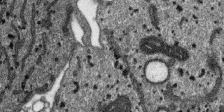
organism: Human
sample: Lung epithelial cells infected with SARS-CoV-2